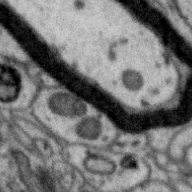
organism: Zebra finch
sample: Brain